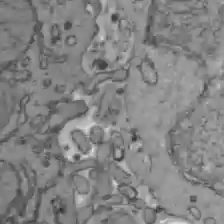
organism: C57BL Mouse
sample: Liver